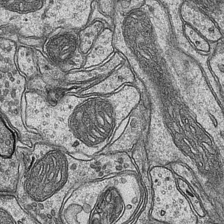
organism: Mouse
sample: CA1 Hippocampus